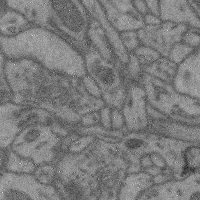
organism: Mouse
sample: Cerebral cortex